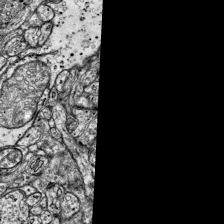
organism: Mouse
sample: Visual Cortex